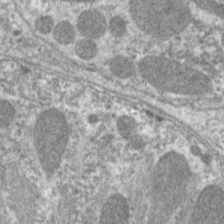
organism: C. elegans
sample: Pharynx